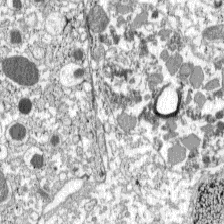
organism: C57BL Mouse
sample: Pancreatic islet